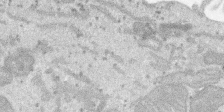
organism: Human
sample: Lung epithelial cells infected with SARS-CoV-2